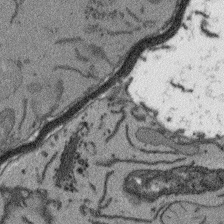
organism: Arabidopsis thaliana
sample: Root tip